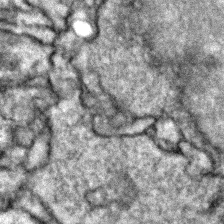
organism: Zebrafish